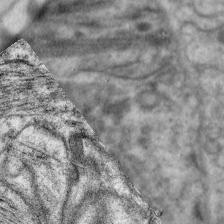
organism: C. elegans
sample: Pharynx